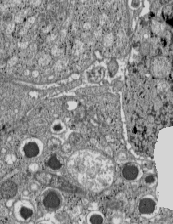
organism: C57BL Mouse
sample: Pancreatic islet